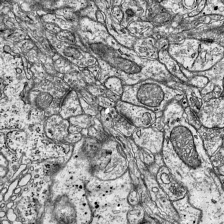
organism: Mouse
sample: Visual Cortex